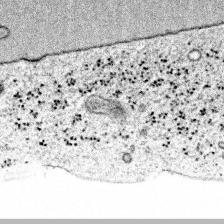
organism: Human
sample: HeLa cells